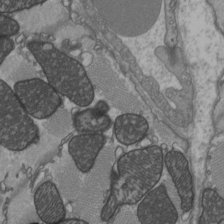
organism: C57BL Mouse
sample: Heart